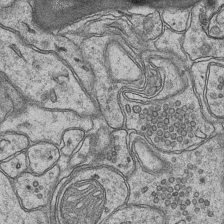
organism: Mouse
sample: CA1 Hippocampus